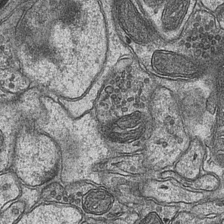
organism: Mouse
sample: CA1 Hippocampus